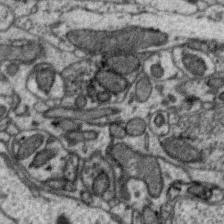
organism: Zebra finch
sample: Brain